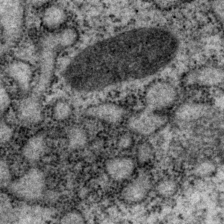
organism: P. pacificus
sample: Pharynx